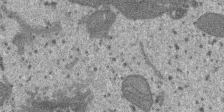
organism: Human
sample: Lung epithelial cells infected with SARS-CoV-2